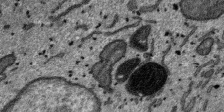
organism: Human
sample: Lung epithelial cells, uninfected (mock) control